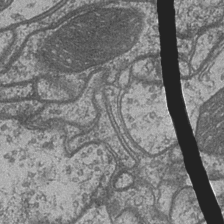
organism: Drosophila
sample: Optic medulla